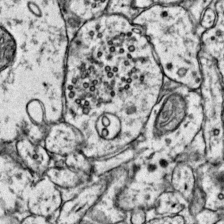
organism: Mouse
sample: Primary visual cortex